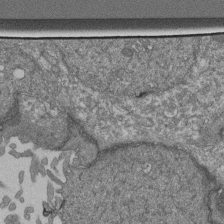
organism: Human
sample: Retinal organoid Rod and Cone cells